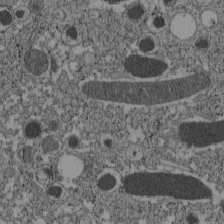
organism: C57BL Mouse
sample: Pancreatic islet